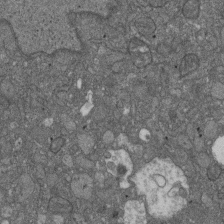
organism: Drosophila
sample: Nephrocyte